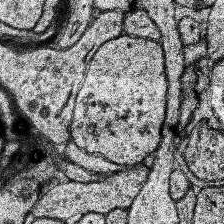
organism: Human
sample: Temporal Lobe